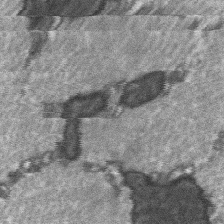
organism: C57BL Mouse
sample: Soleus